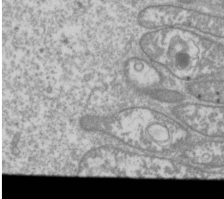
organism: Drosophila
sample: Cell division; meiosis; drosophila spermatocytes